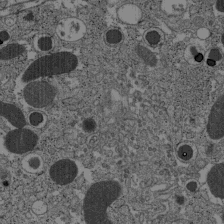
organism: C57BL Mouse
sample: Pancreatic islet